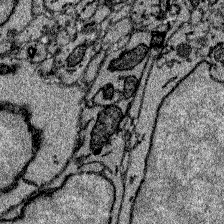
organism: Zebrafish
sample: Larval olfactory bulb